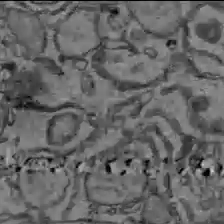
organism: C57BL Mouse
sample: Liver